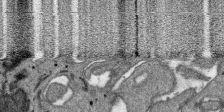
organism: Human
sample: Lung epithelial cells, uninfected (mock) control